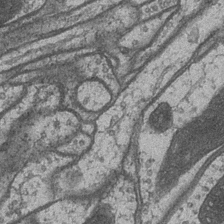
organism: Drosophila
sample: Optic medulla